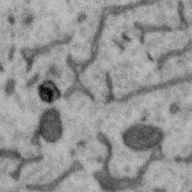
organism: Zebra finch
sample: Brain